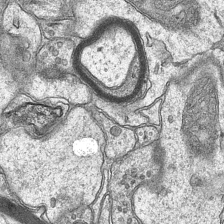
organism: Mouse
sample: CA1 Hippocampus